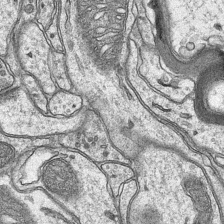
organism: Mouse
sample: CA1 Hippocampus